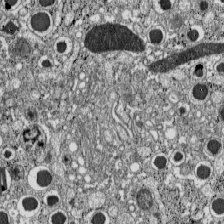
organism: C57BL Mouse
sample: Pancreatic islet